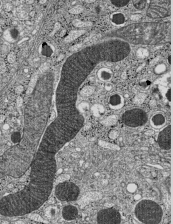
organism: C57BL Mouse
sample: Pancreatic islet